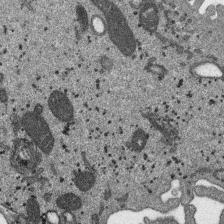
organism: Human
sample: Lung epithelial cells infected with SARS-CoV-2